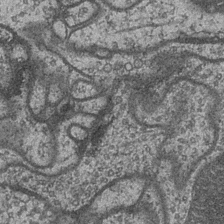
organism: Drosophila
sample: Optic medulla